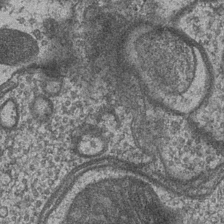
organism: Drosophila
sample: Optic medulla